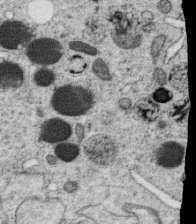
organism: C. elegans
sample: C. elegans oocyte; sperm cells